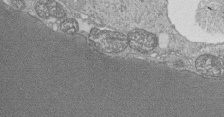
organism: Tetrahymena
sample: Cilia in tetrahymena